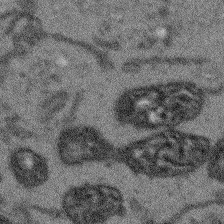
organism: Arabidopsis thaliana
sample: Root tip